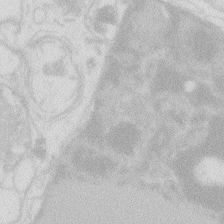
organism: Zebrafish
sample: Macrophage